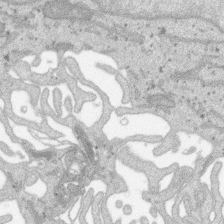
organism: Human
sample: Lung epithelial cells infected with SARS-CoV-2